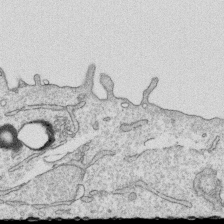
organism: Human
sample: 1205lu cells